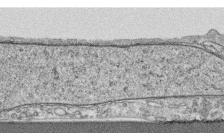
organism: Human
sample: CRL-1474